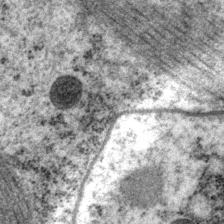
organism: P. pacificus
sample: Pharynx